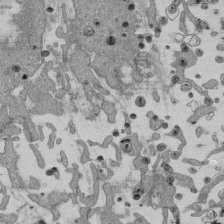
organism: Mouse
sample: ED-1 cell nuclei; centrioles